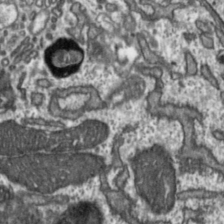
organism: Toxoplasma gondii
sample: Parasites in a vacuole inside a host cell